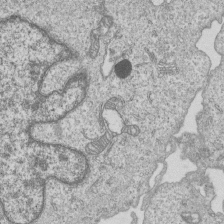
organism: Human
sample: MDA-MB-231 cells